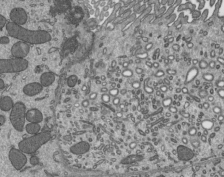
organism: Mouse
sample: Mouse epididymis efferent ductule cilia